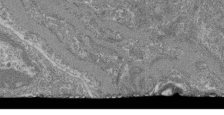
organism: Mouse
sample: Glomerulus